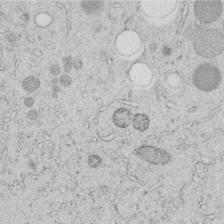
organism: C. elegans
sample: C. elegans embryo early stage